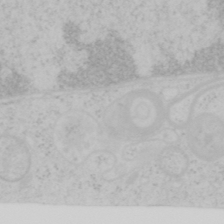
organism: Mouse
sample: OT-I killer T cells with ID8 ovarian cancer cells